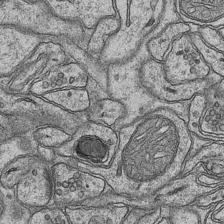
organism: Mouse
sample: CA1 Hippocampus